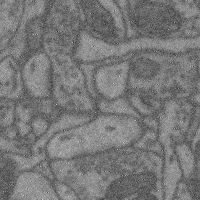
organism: Mouse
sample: Cerebral cortex